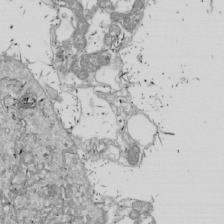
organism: Drosophila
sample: Cell division; meiosis; drosophila spermatocytes